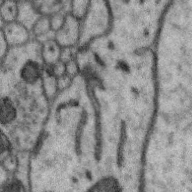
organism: Zebra finch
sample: Brain